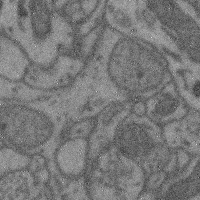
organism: Mouse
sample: Cerebral cortex